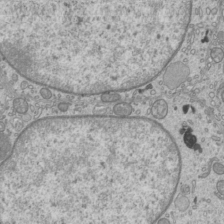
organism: Mouse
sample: Cilia; mouse epididymis